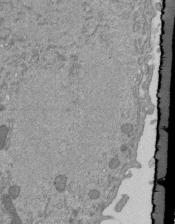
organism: Mouse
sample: ED-1 cell nuclei; centrioles